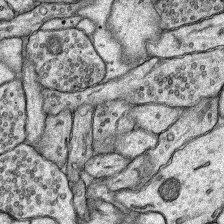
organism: Rat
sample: Hippocampus